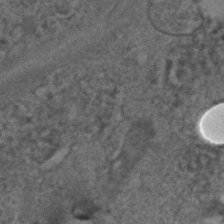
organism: C. elegans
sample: C. elegans embryo